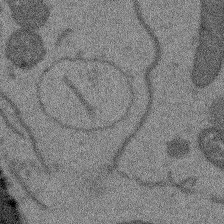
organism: Arabidopsis thaliana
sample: Root tip